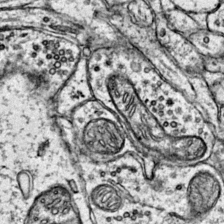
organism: Mouse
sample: Primary visual cortex